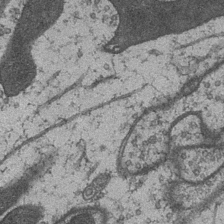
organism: Drosophila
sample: Optic medulla